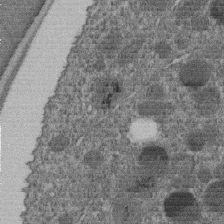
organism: C. elegans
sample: C. elegans embryo early stage